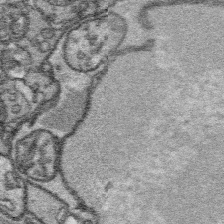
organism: Platynereis dumerilii